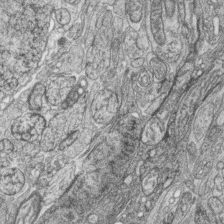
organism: Zebrafish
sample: synaptic ribbons in rod cells and cone cells